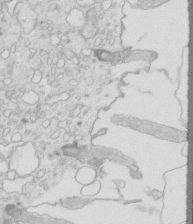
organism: Mouse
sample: Multiciliated cells